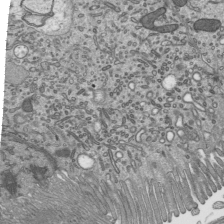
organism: Mouse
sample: Mouse epididymis efferent ductule cilia